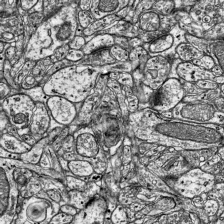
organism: Mouse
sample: Visual Cortex